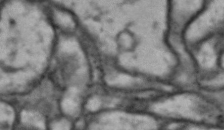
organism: Drosophila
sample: Brain